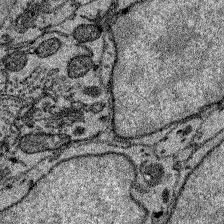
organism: Zebrafish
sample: Larval olfactory bulb